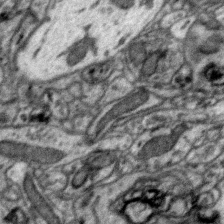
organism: Zebra finch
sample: Brain